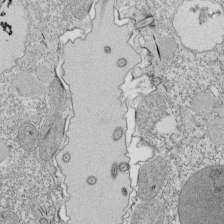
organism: Tetrahymena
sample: Cilia in tetrahymena